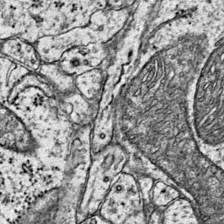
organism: Mouse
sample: Primary visual cortex